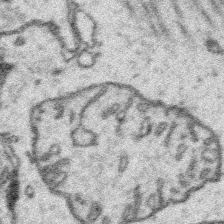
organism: Platynereis dumerilii